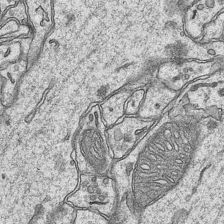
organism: Mouse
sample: CA1 Hippocampus